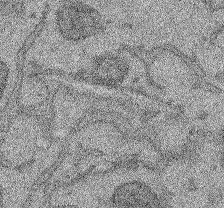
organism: Human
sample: HeLa cells